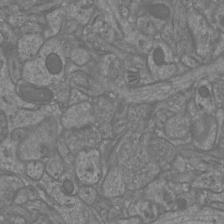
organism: Mouse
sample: Cortical neurons